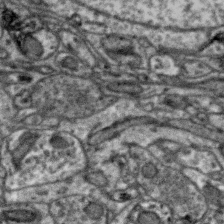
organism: Zebra finch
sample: Brain